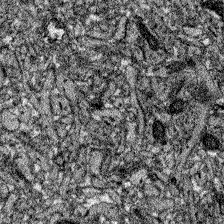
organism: Zebrafish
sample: Larval olfactory bulb